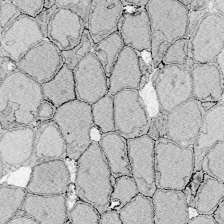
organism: Zebrafish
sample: Whole-Brain